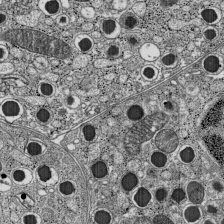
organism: C57BL Mouse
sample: Pancreatic islet